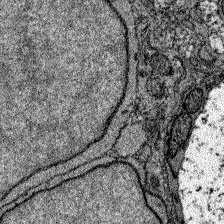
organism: Zebrafish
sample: Larval olfactory bulb